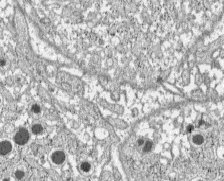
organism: C57BL Mouse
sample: Pancreatic islet